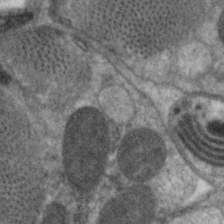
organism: C. elegans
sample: Pharynx